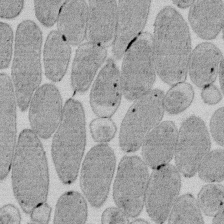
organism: E. coli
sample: Bacterial nucleoid